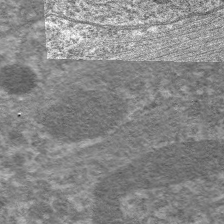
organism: C. elegans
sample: Pharynx